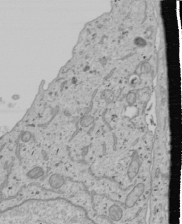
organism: Human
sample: Mitochondria in U2OS cells